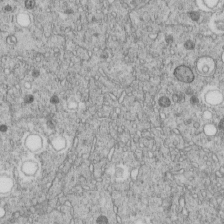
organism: C. elegans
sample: C. elegans embryo early stage